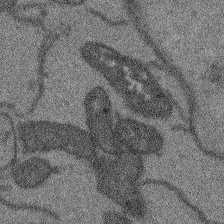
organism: Arabidopsis thaliana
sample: Root tip